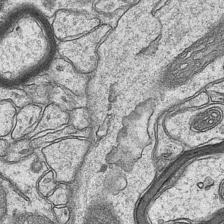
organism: Mouse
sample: CA1 Hippocampus